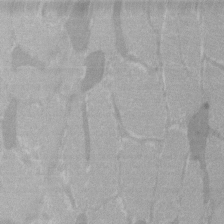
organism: C57BL Mouse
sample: Tibialis anterior muscle cell